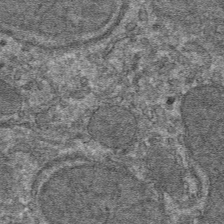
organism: Mouse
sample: Mouse hepatocytes